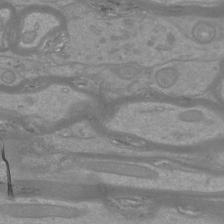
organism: Mouse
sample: Cortical neurons